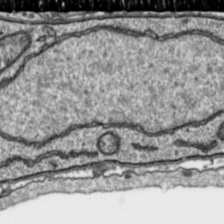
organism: Toxoplasma gondii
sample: Parasites in a vacuole inside a host cell